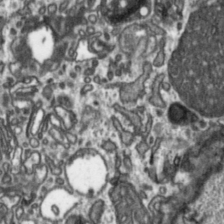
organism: Toxoplasma gondii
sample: Parasites in a vacuole inside a host cell